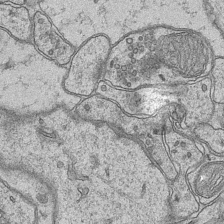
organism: Mouse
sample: CA1 Hippocampus